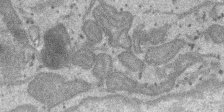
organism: Human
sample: Lung epithelial cells infected with SARS-CoV-2